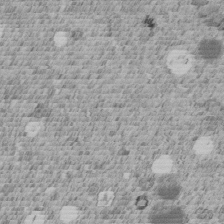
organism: C. elegans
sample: C. elegans embryo early stage